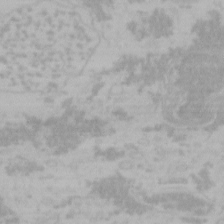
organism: Mouse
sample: Choroid plexus